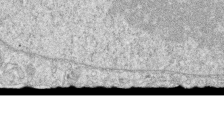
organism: Human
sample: HeLa cell HIV synapse